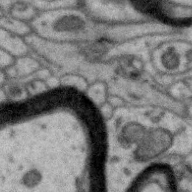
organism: Zebra finch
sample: Brain